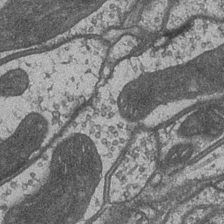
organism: Drosophila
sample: Optic medulla